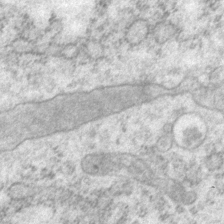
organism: P. pacificus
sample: Pharynx